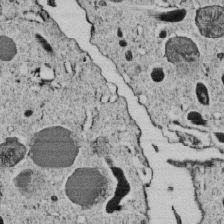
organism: C. elegans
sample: C. elegans embryo early stage